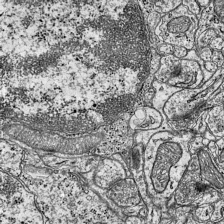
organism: Mouse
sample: Visual Cortex